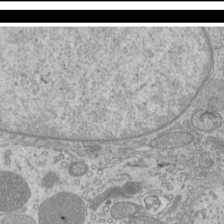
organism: Mouse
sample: Cilia; mouse epididymis